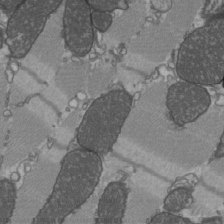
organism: C57BL Mouse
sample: Heart